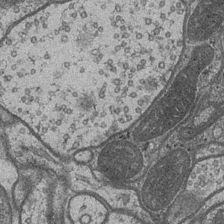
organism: Drosophila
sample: Optic medulla